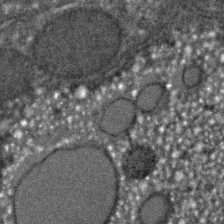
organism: C. elegans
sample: C. elegans embryo